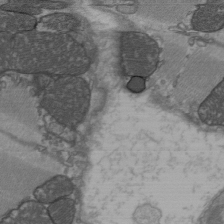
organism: C57BL Mouse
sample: Heart